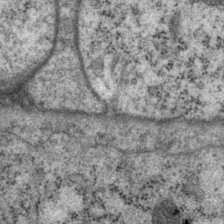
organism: P. pacificus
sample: Pharynx